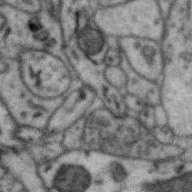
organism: Zebra finch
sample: Brain